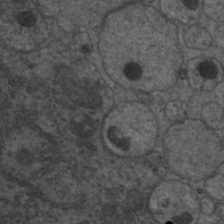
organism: C. elegans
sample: Pharynx